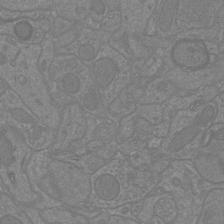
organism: Mouse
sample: Cortical neurons